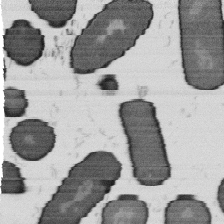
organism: B. subtilis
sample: Bacterial spore